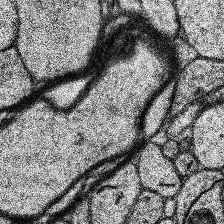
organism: Human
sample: Temporal Lobe